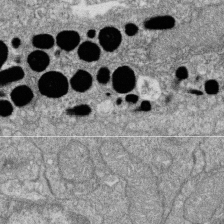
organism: Zebrafish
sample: Cilia; retinal pigment epithelium